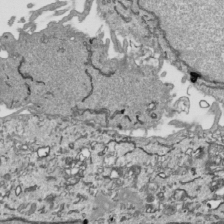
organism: Human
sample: Mitochondria in HCT116 cells